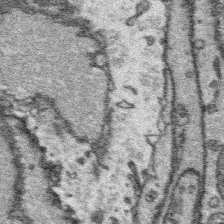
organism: Platynereis dumerilii